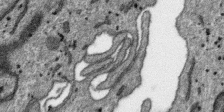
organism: Human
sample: Lung epithelial cells, uninfected (mock) control